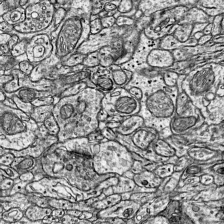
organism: Mouse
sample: Visual Cortex